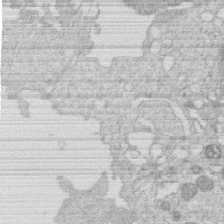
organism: Human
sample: Macrophage cells